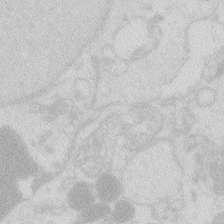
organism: Zebrafish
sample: Macrophage